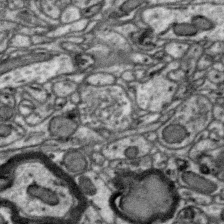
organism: Zebra finch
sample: Brain